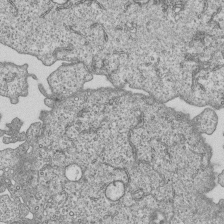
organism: Human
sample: MDA-MB-231 cells